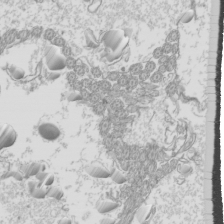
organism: Mouse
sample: Cilia; mouse epididymis